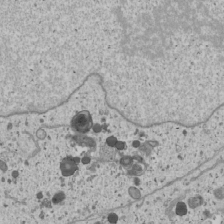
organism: Human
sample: Mitochondria in U2OS cells